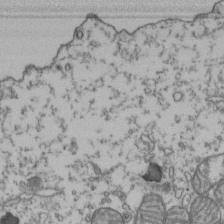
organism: Human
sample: Activated Jurkat CD4+ T cells